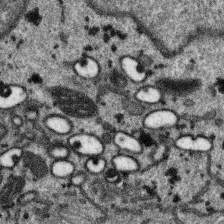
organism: Human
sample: Lung epithelial cells infected with SARS-CoV-2